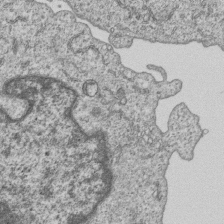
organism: Human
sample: MDA-MB-231 cells